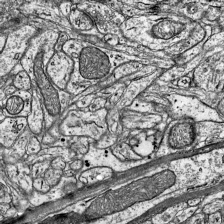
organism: Mouse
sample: Visual Cortex